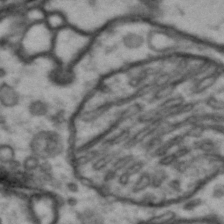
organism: Drosophila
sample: Brain